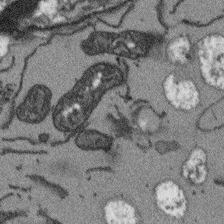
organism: Arabidopsis thaliana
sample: Root tip